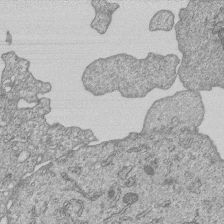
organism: Human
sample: MDA-MB-231 cells